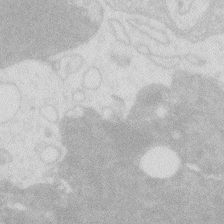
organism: Zebrafish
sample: Macrophage